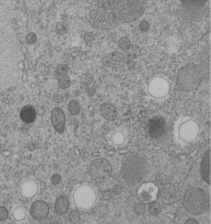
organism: C. elegans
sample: C. elegans embryo early stage